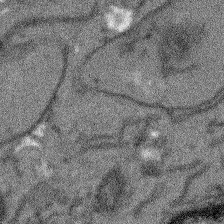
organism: Arabidopsis thaliana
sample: Root tip